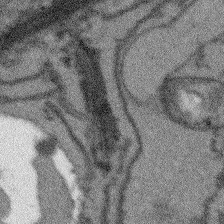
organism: Arabidopsis thaliana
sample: Root tip